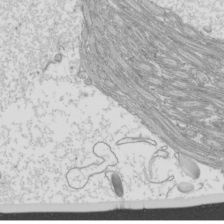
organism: Mouse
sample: Cilia; mouse epididymis